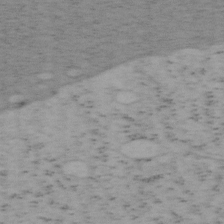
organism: Mouse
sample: OT-I killer T cells with ID8 ovarian cancer cells